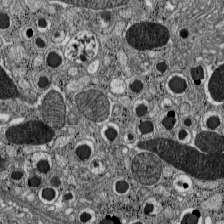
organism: C57BL Mouse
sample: Pancreatic islet